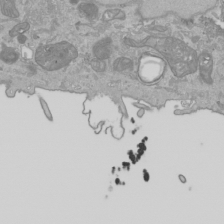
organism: Human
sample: Mitochondria in HCT116 cells